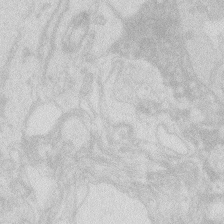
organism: Zebrafish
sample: Macrophage